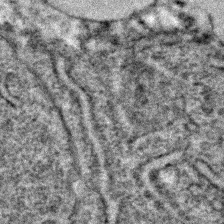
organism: C. elegans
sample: C. elegans embryo